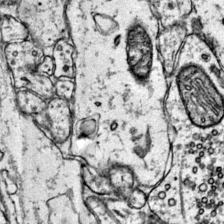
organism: Mouse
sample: Primary visual cortex